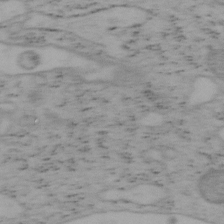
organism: Mouse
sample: OT-I killer T cells with ID8 ovarian cancer cells